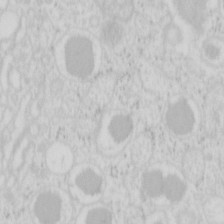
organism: Mouse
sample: Pancreas